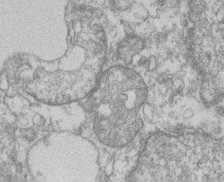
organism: Mouse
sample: T cell stromal cell synapse